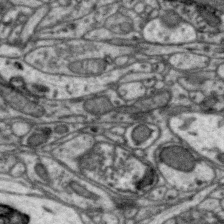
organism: Zebra finch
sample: Brain